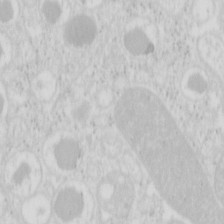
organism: Mouse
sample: Pancreas